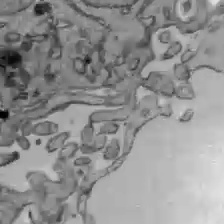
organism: C57BL Mouse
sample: Liver